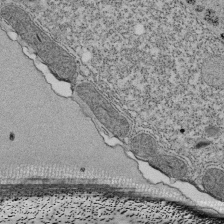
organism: Tetrahymena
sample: Cilia in tetrahymena